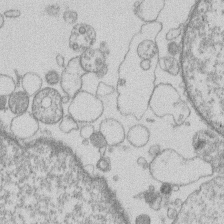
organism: Human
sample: Macrophage cells